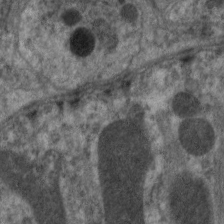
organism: C. elegans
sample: Pharynx